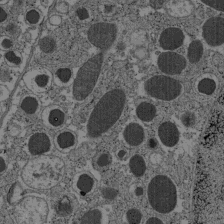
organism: C57BL Mouse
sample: Pancreatic islet